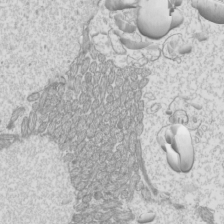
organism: Mouse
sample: Cilia; mouse epididymis